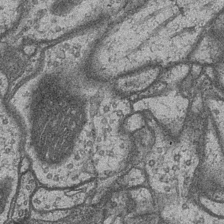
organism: Drosophila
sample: Optic medulla